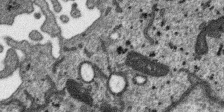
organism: Human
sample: Lung epithelial cells infected with SARS-CoV-2